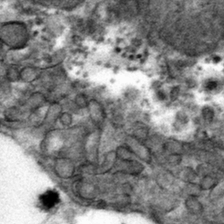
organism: Mouse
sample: Mouse hepatocytes